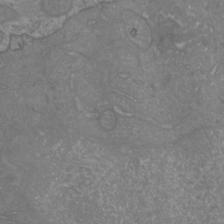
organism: Mouse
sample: Cortical neurons